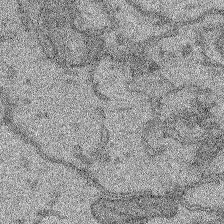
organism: Human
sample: HeLa cells